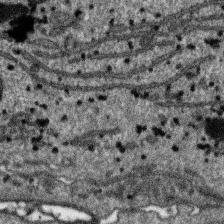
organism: Human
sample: Lung epithelial cells infected with SARS-CoV-2